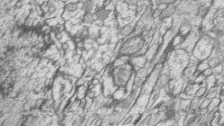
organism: Zebrafish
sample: synaptic ribbons in rod cells and cone cells